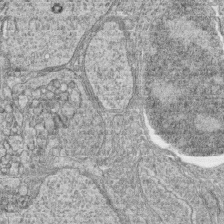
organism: Zebrafish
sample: synaptic ribbons in rod cells and cone cells